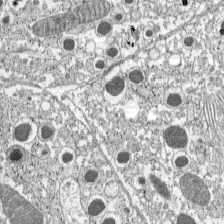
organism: C57BL Mouse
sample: Pancreatic islet